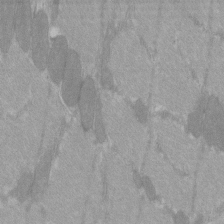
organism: C57BL Mouse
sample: Tibialis anterior muscle cell